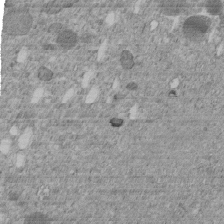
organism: C. elegans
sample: C. elegans embryo early stage